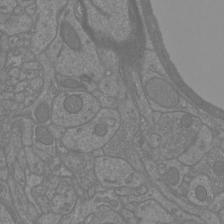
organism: Mouse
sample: Cortical neurons